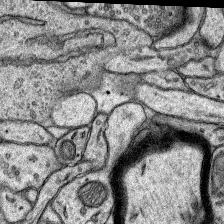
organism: Rat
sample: Hippocampus